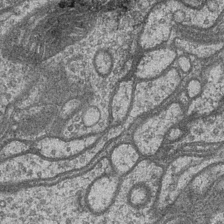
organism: Drosophila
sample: Optic medulla